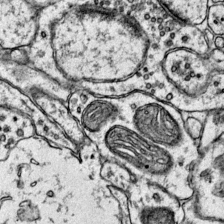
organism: Mouse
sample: Primary visual cortex